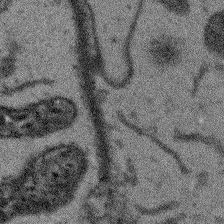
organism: Arabidopsis thaliana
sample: Root tip